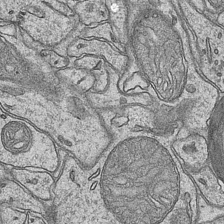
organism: Mouse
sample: CA1 Hippocampus